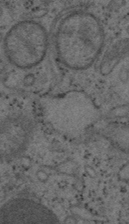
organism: Human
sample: HeLa cells